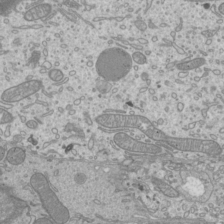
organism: Mouse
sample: Cilia; mouse epididymis